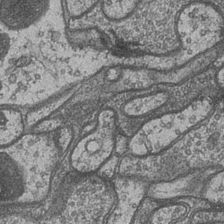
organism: Drosophila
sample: Optic medulla